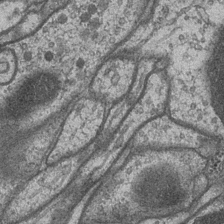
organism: Drosophila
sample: Optic medulla